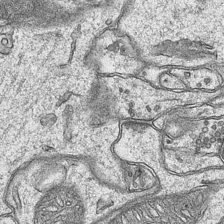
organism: Mouse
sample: CA1 Hippocampus